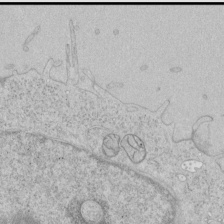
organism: Human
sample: Mitochondria in HCT116 cells